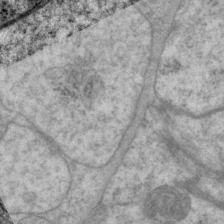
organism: P. pacificus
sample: Pharynx